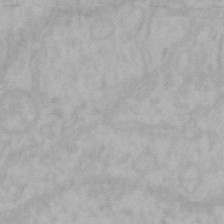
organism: Mouse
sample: Choroid plexus